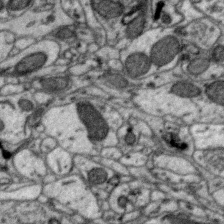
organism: Zebra finch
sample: Brain